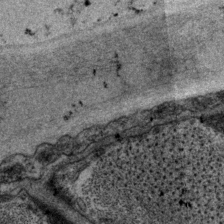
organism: P. pacificus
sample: Pharynx